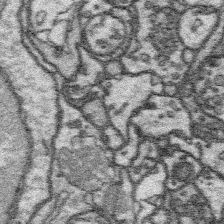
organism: Platynereis dumerilii